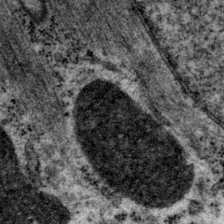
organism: P. pacificus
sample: Pharynx